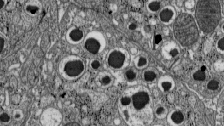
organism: C57BL Mouse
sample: Pancreatic islet